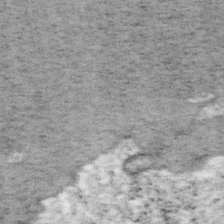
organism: Mouse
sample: OT-I killer T cells with ID8 ovarian cancer cells